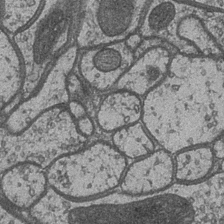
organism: Drosophila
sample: Optic medulla